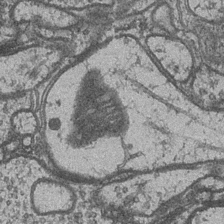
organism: Drosophila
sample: Optic medulla